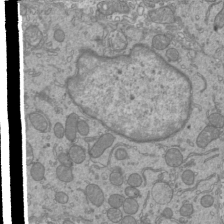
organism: Mouse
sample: Cilia; mouse epididymis